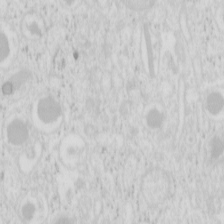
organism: Mouse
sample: Pancreas